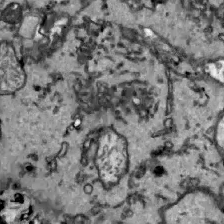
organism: Zebrafish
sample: Actinotrichia fibers